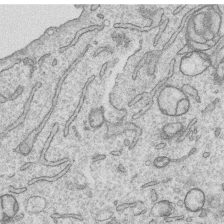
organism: Human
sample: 1205lu cells